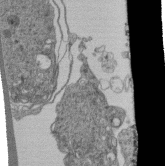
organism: Human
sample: Retinal organoid Rod and Cone cells